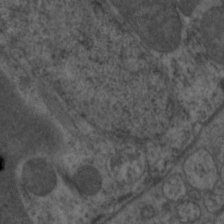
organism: C. elegans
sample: Pharynx